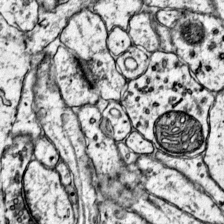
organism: Mouse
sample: Primary visual cortex